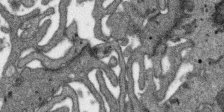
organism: Human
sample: Lung epithelial cells, uninfected (mock) control